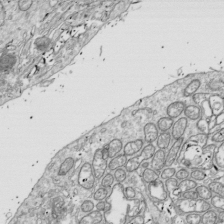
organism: Drosophila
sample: Cell division; meiosis; drosophila spermatocytes